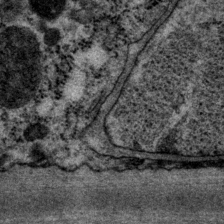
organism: P. pacificus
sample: Pharynx